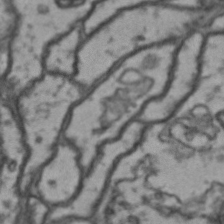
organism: Drosophila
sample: Brain